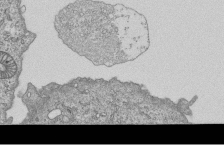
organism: Human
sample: MDA-MB-231 cells